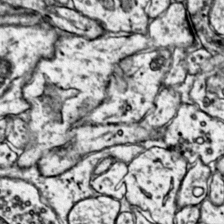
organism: Mouse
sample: Primary visual cortex